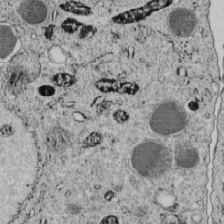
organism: C. elegans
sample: C. elegans embryo early stage